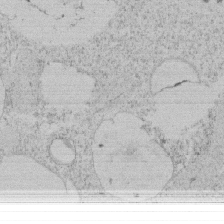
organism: Tetrahymena